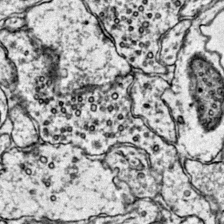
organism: Mouse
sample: Primary visual cortex